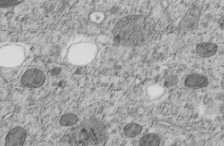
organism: C. elegans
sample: C. elegans embryo early stage